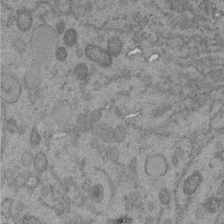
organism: C. elegans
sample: C. elegans embryo early stage